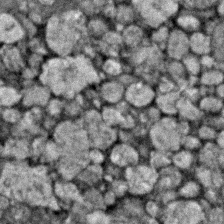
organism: Zebrafish